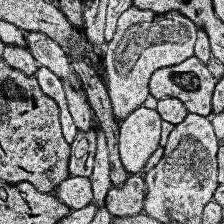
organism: Human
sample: Temporal Lobe